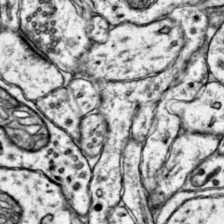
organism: Mouse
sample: Primary visual cortex